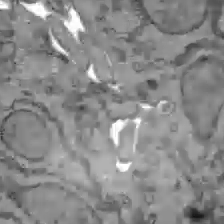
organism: C57BL Mouse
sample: Liver